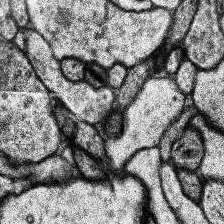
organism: Human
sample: Temporal Lobe